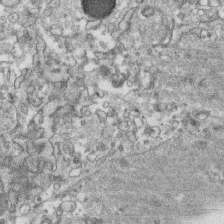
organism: Human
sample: CRL-1474